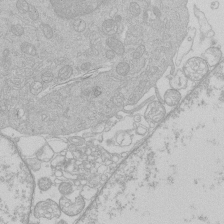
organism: Human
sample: Macrophage cells